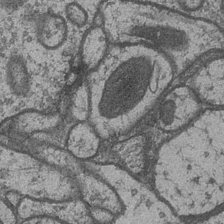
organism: Drosophila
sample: Optic medulla